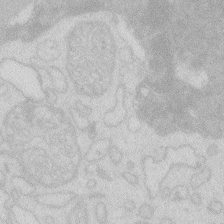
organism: Zebrafish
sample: Macrophage